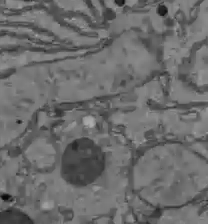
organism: C57BL Mouse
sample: Liver